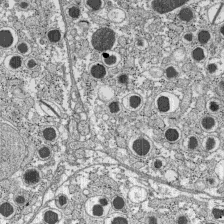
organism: C57BL Mouse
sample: Pancreatic islet